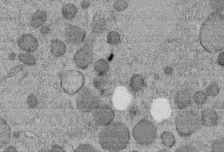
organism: C. elegans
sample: C. elegans embryo early stage